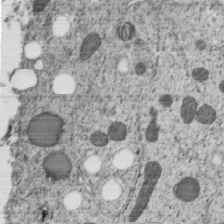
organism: C. elegans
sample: C. elegans embryo early stage